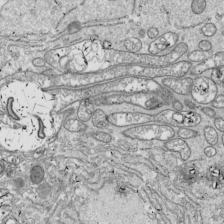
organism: Drosophila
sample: Cell division; meiosis; drosophila spermatocytes